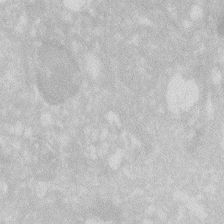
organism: Zebrafish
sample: Macrophage